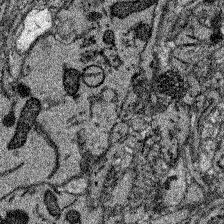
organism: Zebrafish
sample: Larval olfactory bulb